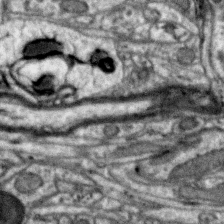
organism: Zebra finch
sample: Brain